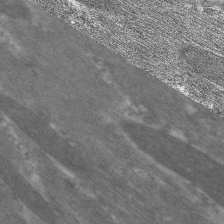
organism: C. elegans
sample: Pharynx